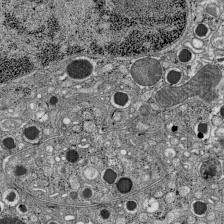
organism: C57BL Mouse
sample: Pancreatic islet